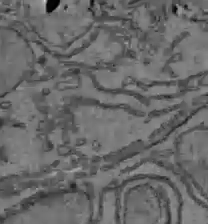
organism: C57BL Mouse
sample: Liver